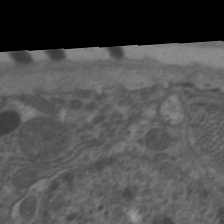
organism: C. elegans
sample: Pharynx